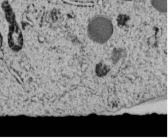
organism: C. elegans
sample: C. elegans embryo early stage